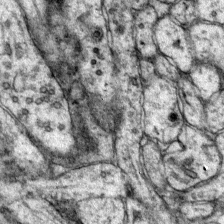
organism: Mouse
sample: Primary visual cortex